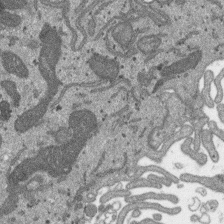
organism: Human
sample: Lung epithelial cells infected with SARS-CoV-2